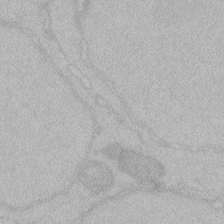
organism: Zebrafish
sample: Macrophage infected with Toxoplasma gondii